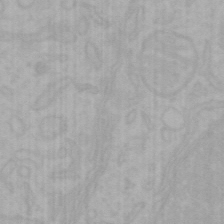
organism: Mouse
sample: Choroid plexus